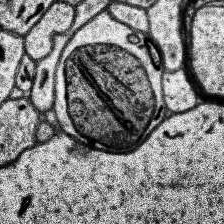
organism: Human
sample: Temporal Lobe